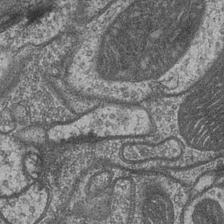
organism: Drosophila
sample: Optic medulla